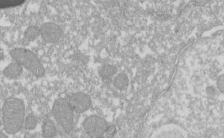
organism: Xenopus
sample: Cilia; centrioles in frog embryo cells